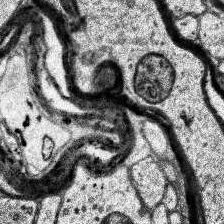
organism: Human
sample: Temporal Lobe